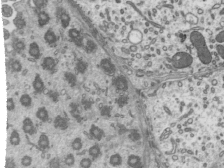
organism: Mouse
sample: Mouse epididymis efferent ductule cilia